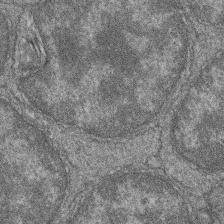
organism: Zebrafish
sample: Cilia; retinal pigment epithelium